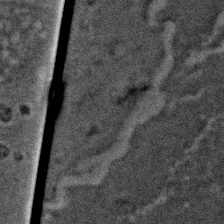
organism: Zebrafish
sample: Zebrafish embryo